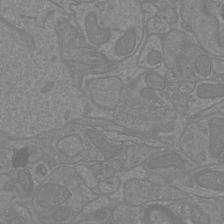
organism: Mouse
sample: Cortical neurons